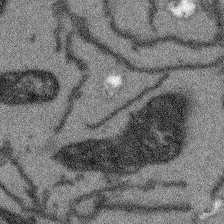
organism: Arabidopsis thaliana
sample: Root tip